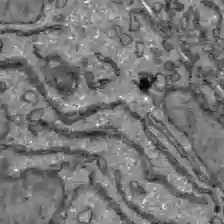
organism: C57BL Mouse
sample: Liver